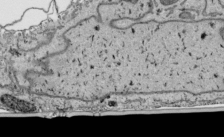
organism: Human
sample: Mitochondria in HCT116 cells